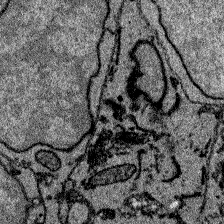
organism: Zebrafish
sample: Larval olfactory bulb